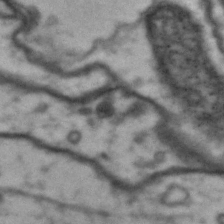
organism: Drosophila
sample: Brain